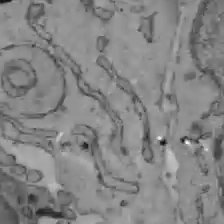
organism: C57BL Mouse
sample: Liver